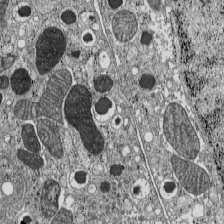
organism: C57BL Mouse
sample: Pancreatic islet